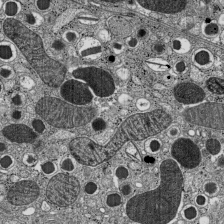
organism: C57BL Mouse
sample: Pancreatic islet